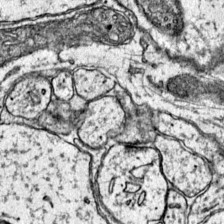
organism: Mouse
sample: Primary visual cortex